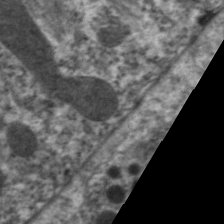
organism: C. elegans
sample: Pharynx